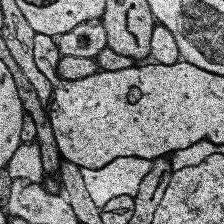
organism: Human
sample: Temporal Lobe